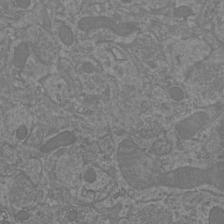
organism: Mouse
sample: Cortical neurons